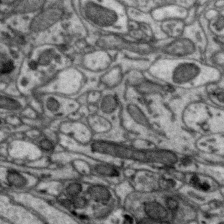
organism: Zebra finch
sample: Brain